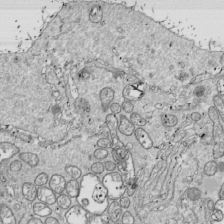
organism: Drosophila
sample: Cell division; meiosis; drosophila spermatocytes